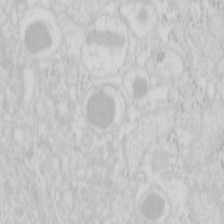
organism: Mouse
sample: Pancreas